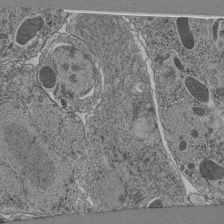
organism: C. elegans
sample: C. elegans pharynx